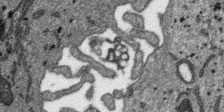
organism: Human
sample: Lung epithelial cells infected with SARS-CoV-2